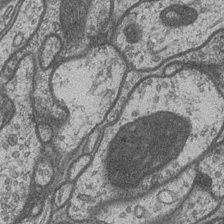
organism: Drosophila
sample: Optic medulla